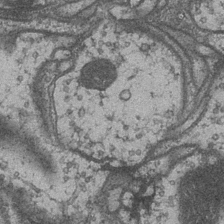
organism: Drosophila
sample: Optic medulla